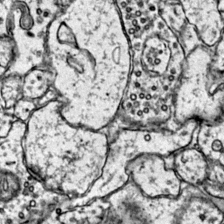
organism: Mouse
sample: Primary visual cortex